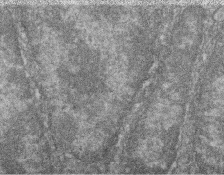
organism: Zebrafish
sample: Cilia; retinal pigment epithelium